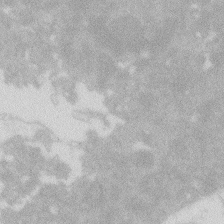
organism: Zebrafish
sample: Macrophage